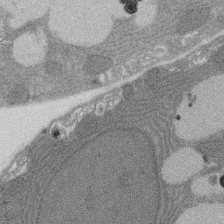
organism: Rat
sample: Salivary granule